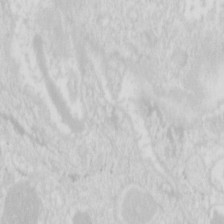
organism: Mouse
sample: Pancreas